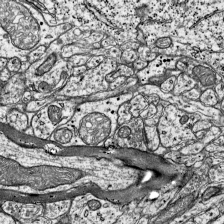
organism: Mouse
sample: Visual Cortex